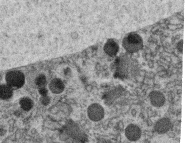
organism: C. elegans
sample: C. elegans oocyte; sperm cells